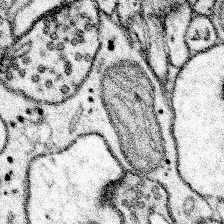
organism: Mouse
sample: Somatosensory cortex neuropil